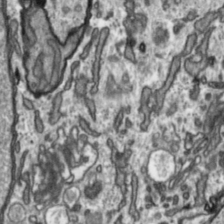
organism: Toxoplasma gondii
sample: Parasites in a vacuole inside a host cell